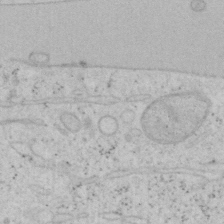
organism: Human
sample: HeLa cells